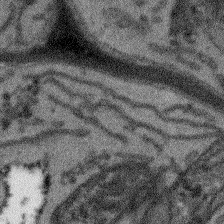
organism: Arabidopsis thaliana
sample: Root tip